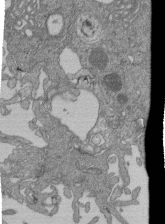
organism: Human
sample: Retinal organoid Rod and Cone cells